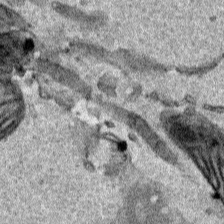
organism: Human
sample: Mitochondria in HCT116 cells